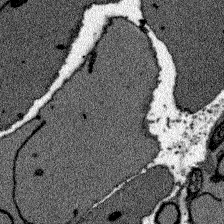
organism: Zebrafish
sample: Larval olfactory bulb